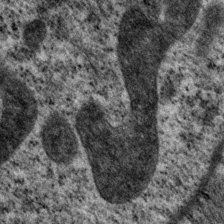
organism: P. pacificus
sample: Pharynx